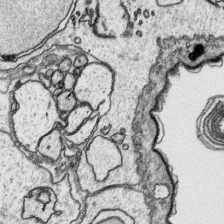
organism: Platynereis dumerilii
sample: Parapodia